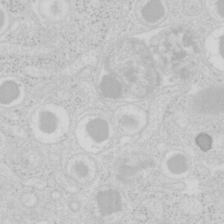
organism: Mouse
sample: Pancreas